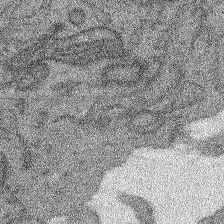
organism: Human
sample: HeLa cells